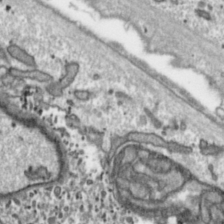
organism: Toxoplasma gondii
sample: Parasites in a vacuole inside a host cell